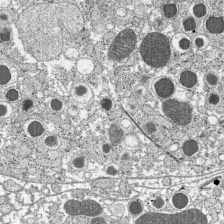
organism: C57BL Mouse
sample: Pancreatic islet